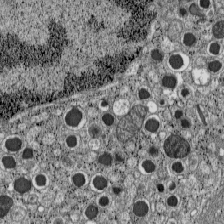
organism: C57BL Mouse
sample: Pancreatic islet